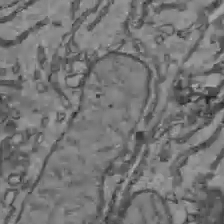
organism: C57BL Mouse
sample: Liver